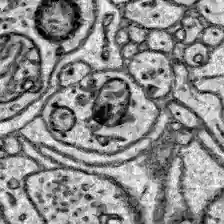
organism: Zebrafish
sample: Brain